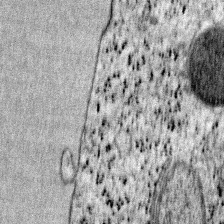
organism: Human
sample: HeLa cells